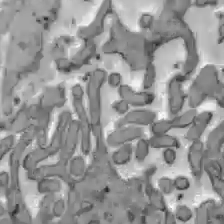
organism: C57BL Mouse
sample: Liver